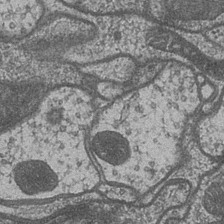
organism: Drosophila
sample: Optic medulla